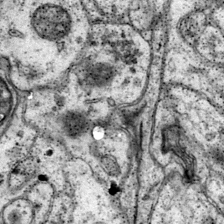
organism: Mouse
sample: Primary visual cortex